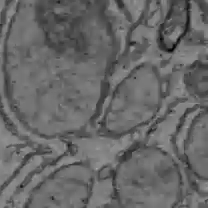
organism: C57BL Mouse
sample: Liver